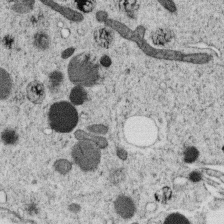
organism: C. elegans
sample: C. elegans oocyte; sperm cells